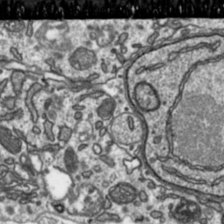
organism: Toxoplasma gondii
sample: Parasites in a vacuole inside a host cell